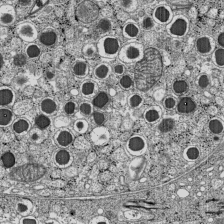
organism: C57BL Mouse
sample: Pancreatic islet